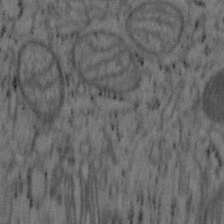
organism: Human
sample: HeLa cells